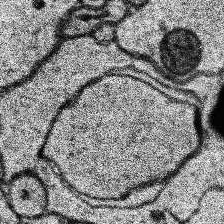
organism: Human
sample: Temporal Lobe